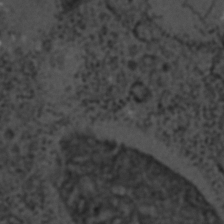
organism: C. elegans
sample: C. elegans embryo